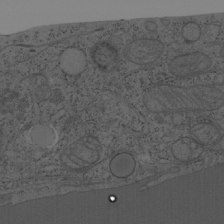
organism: Human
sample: HeLa cells